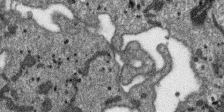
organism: Human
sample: Lung epithelial cells infected with SARS-CoV-2